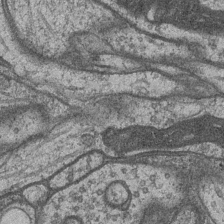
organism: Drosophila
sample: Optic medulla